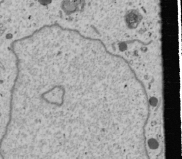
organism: Human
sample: Mitochondria in U2OS cells